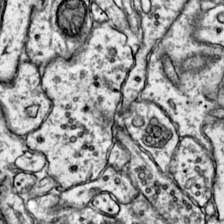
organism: Mouse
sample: Primary visual cortex